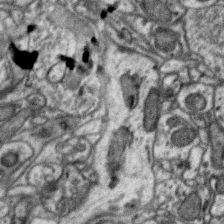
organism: Zebra finch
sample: Brain